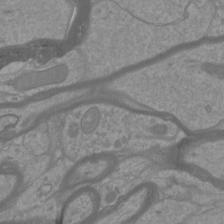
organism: Mouse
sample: Cortical neurons